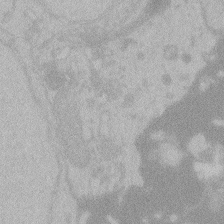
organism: Zebrafish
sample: Macrophage infected with Toxoplasma gondii